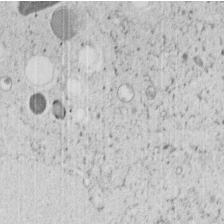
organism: C. elegans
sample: C. elegans embryo early stage